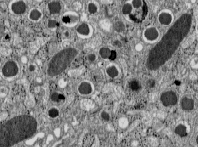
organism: C57BL Mouse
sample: Pancreatic islet